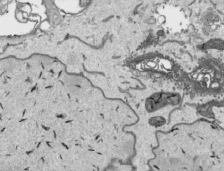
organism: Human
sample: Mitochondria in HCT116 cells